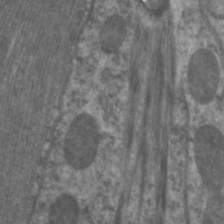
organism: C. elegans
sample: Pharynx